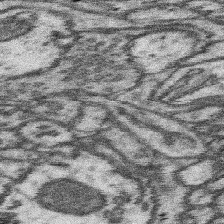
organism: Mouse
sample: Somatosensory cortex neuropil